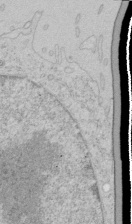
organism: Human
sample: Mitochondria in HCT116 cells